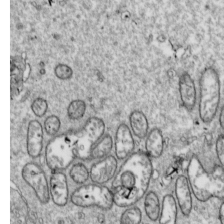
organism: Drosophila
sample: Cell division; meiosis; drosophila spermatocytes